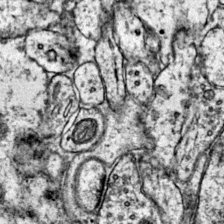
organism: Mouse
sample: Primary visual cortex